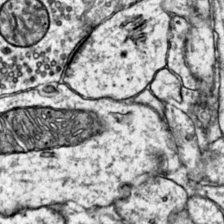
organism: Mouse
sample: Primary visual cortex